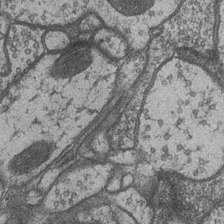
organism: Drosophila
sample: Optic medulla